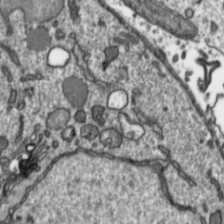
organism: Toxoplasma gondii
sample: Parasites in a vacuole inside a host cell